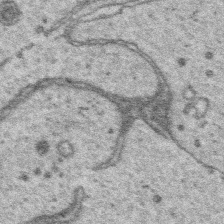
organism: Platynereis dumerilii